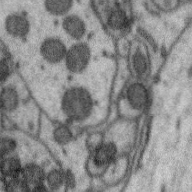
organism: Zebra finch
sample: Brain